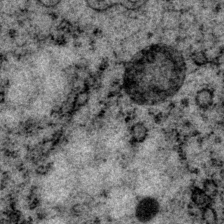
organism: P. pacificus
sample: Pharynx